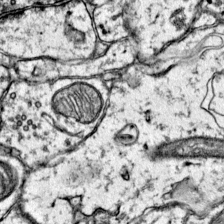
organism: Mouse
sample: Primary visual cortex